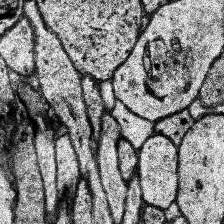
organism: Human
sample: Temporal Lobe